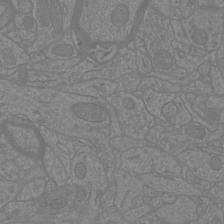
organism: Mouse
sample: Cortical neurons